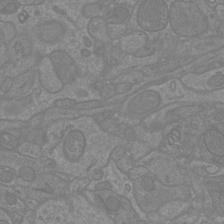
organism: Mouse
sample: Cortical neurons